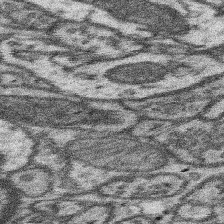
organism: Mouse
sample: Somatosensory cortex neuropil